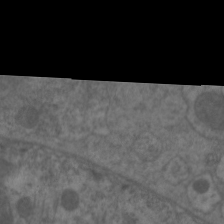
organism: C. elegans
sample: Pharynx